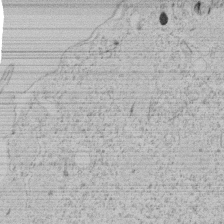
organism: Tetrahymena